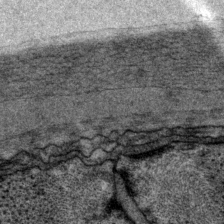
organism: P. pacificus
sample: Pharynx